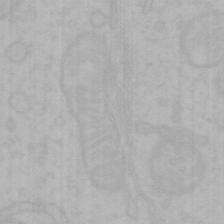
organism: Mouse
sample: Choroid plexus